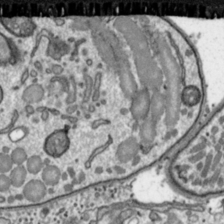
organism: Toxoplasma gondii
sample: Parasites in a vacuole inside a host cell